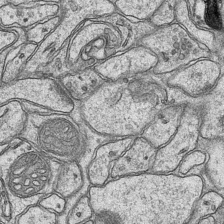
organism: Mouse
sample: CA1 Hippocampus